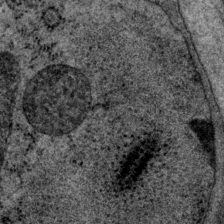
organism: P. pacificus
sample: Pharynx